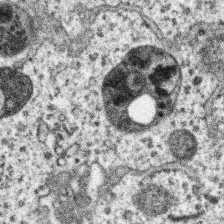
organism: Human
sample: HeLa cells